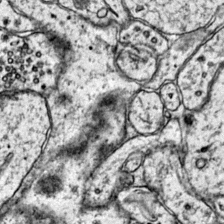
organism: Mouse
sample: Primary visual cortex